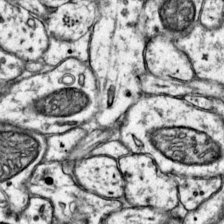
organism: Mouse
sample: Primary visual cortex